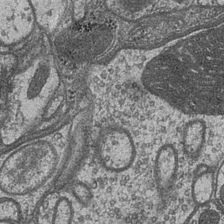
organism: Drosophila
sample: Optic medulla